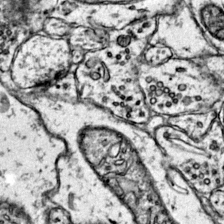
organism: Mouse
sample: Primary visual cortex